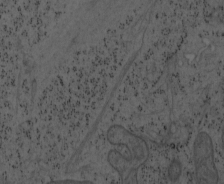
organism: Mouse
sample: OT-I killer T cells with ID8 ovarian cancer cells